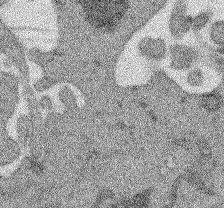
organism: Human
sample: HeLa cells